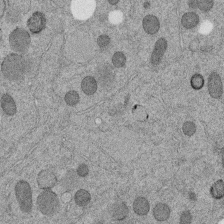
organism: C. elegans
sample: C. elegans embryo early stage